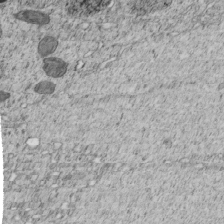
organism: C. elegans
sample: C. elegans embryo early stage